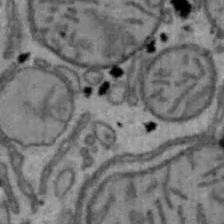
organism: Mouse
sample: Liver